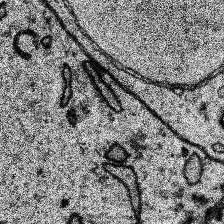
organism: Human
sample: Temporal Lobe